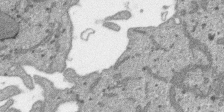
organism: Human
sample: Lung epithelial cells infected with SARS-CoV-2